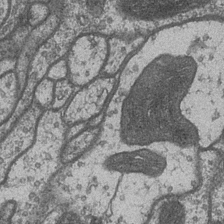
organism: Drosophila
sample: Optic medulla